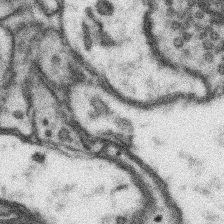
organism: Mouse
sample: Somatosensory cortex neuropil